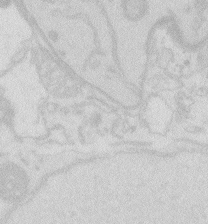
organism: Zebrafish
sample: Macrophage